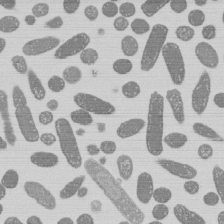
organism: E. coli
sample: Bacterial nucleoid